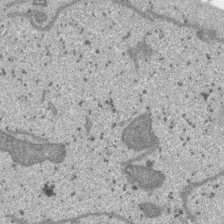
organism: Human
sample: Lung epithelial cells infected with SARS-CoV-2